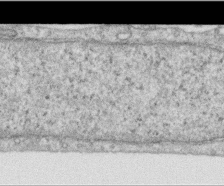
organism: Human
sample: Centriole in RPE cells